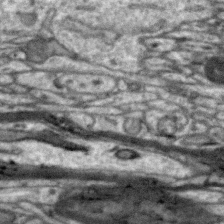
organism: Zebra finch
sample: Brain